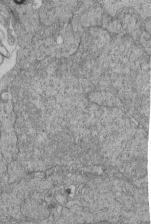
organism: Human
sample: Retinal organoid Rod and Cone cells